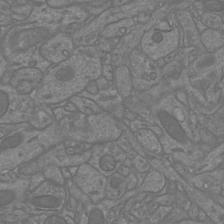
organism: Mouse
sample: Cortical neurons